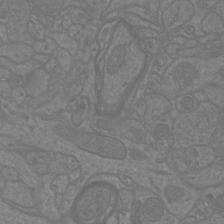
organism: Mouse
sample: Cortical neurons